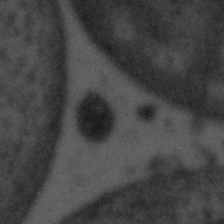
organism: Tuwongella immobilis